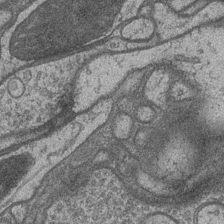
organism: Drosophila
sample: Optic medulla